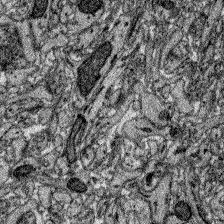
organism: Zebrafish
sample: Larval olfactory bulb